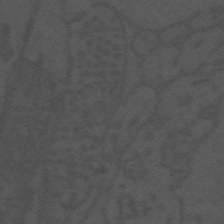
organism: Mouse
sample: Suprachiasmatic nucleus